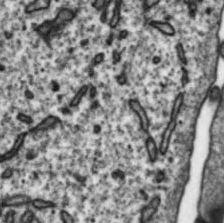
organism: Human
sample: HeLa cells